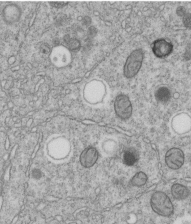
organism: C. elegans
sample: C. elegans embryo early stage